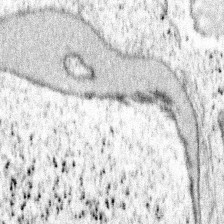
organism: Human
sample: HeLa cells